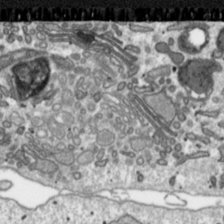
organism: Toxoplasma gondii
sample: Parasites in a vacuole inside a host cell